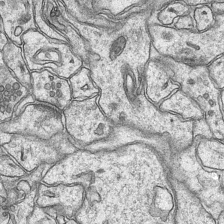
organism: Mouse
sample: CA1 Hippocampus